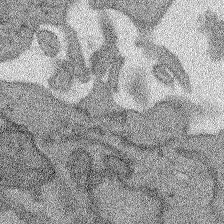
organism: Human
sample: HeLa cells